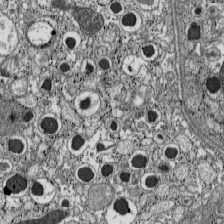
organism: C57BL Mouse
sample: Pancreatic islet